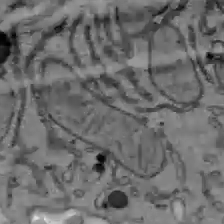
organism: C57BL Mouse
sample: Liver